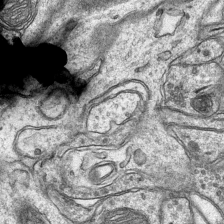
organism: Mouse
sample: CA1 Hippocampus